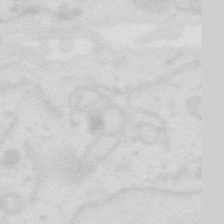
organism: Human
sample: HeLa cells